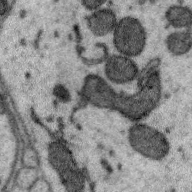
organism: Zebra finch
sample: Brain